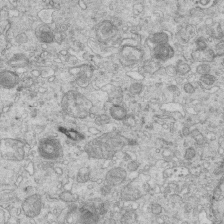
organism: Mouse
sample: Multiciliated cells